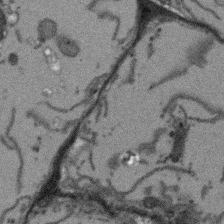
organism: Arabidopsis thaliana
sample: Root tip